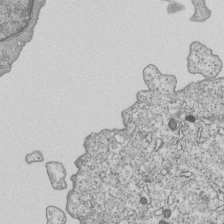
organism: Human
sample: MDA-MB-231 cells